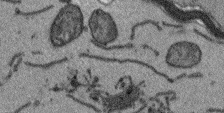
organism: Arabidopsis thaliana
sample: Root tip